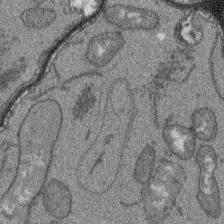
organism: Arabidopsis thaliana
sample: Root tip